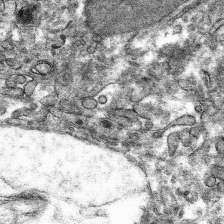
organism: Mouse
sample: Mouse hepatocytes